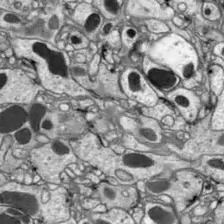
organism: Drosophila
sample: Optic lobe